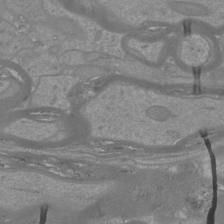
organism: Mouse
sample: Cortical neurons